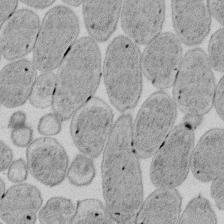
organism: E. coli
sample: Bacterial nucleoid